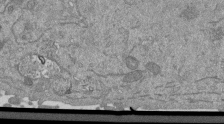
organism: Mouse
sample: ED-1 cell nuclei; centrioles